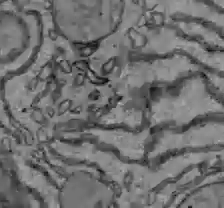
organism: C57BL Mouse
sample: Liver